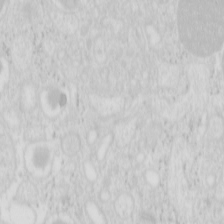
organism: Mouse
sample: Pancreas